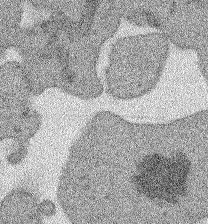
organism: Human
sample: HeLa cells